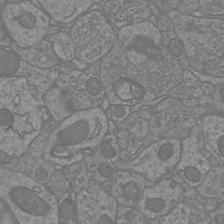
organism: Mouse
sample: Cortical neurons